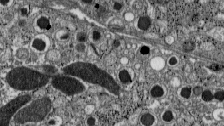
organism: C57BL Mouse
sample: Pancreatic islet